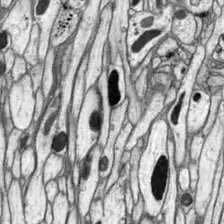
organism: Drosophila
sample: Optic lobe